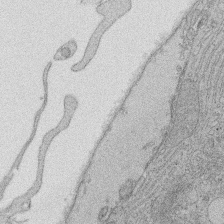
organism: Rat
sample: Salivary granule